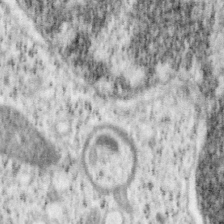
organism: Mouse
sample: OT-I killer T cells with ID8 ovarian cancer cells